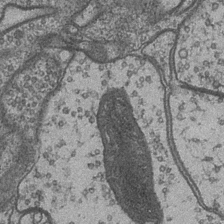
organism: Drosophila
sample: Optic medulla